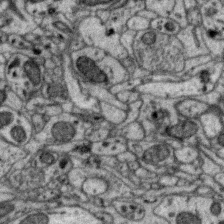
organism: Zebra finch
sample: Brain